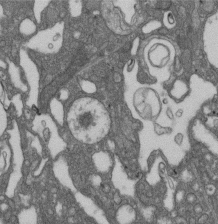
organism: Drosophila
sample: Nephrocyte